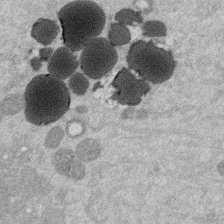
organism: Mouse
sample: Dividing mouse embryo 1 cell stage